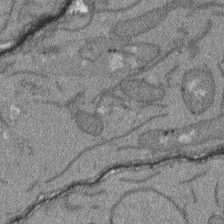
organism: Arabidopsis thaliana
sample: Root tip